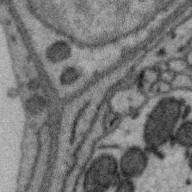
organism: Zebra finch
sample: Brain